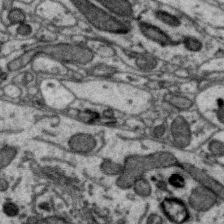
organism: Zebra finch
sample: Brain